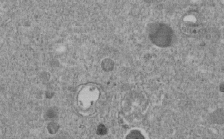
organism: C. elegans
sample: C. elegans embryo early stage